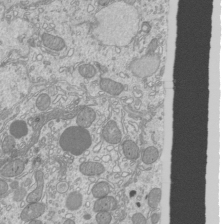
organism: Mouse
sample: Cilia; mouse epididymis